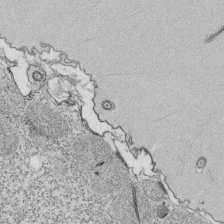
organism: Tetrahymena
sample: Cilia in tetrahymena